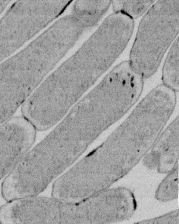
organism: E. coli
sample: Bacterial nucleoid